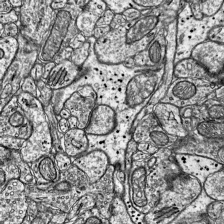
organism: Mouse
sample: Visual Cortex